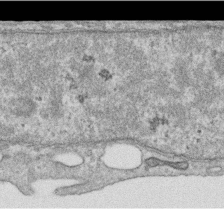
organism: Human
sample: Centriole in RPE cells